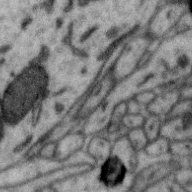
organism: Zebra finch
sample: Brain